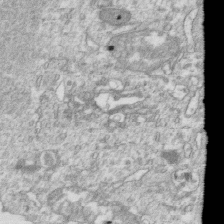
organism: Mouse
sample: Activated OT-1 CD8+ T cells